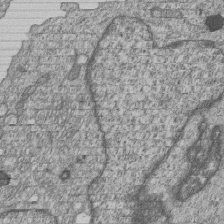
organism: Human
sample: MDA-MB-231 cells